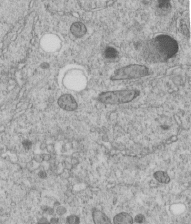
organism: C. elegans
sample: C. elegans embryo early stage